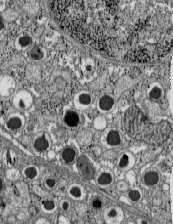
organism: C57BL Mouse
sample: Pancreatic islet